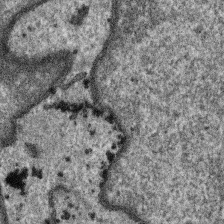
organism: Human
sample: Lung epithelial cells infected with SARS-CoV-2